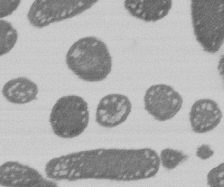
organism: E. coli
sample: Bacterial nucleoid